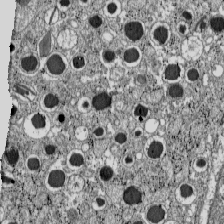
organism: C57BL Mouse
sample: Pancreatic islet